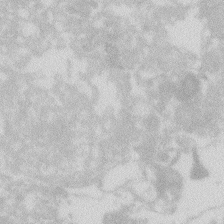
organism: Zebrafish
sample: Macrophage